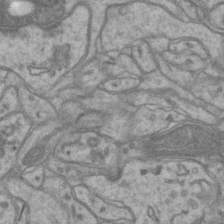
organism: Mouse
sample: CA1 Hippocampus